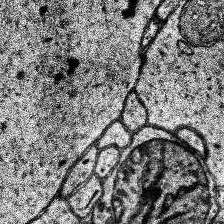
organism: Human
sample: Temporal Lobe